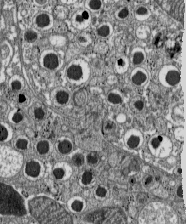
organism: C57BL Mouse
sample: Pancreatic islet